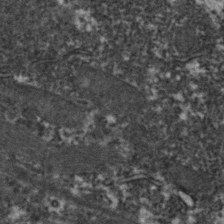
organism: Zebrafish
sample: Zebrafish embryo